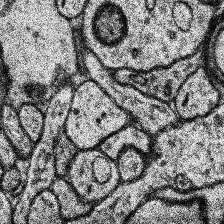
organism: Human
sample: Temporal Lobe